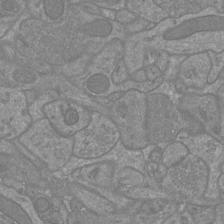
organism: Mouse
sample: Cortical neurons